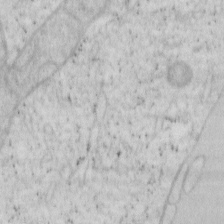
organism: Human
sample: HeLa cells